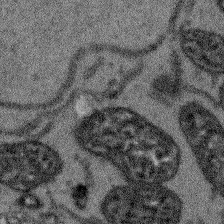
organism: Arabidopsis thaliana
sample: Root tip